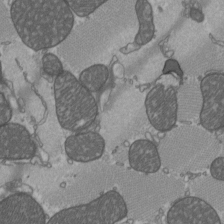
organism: C57BL Mouse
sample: Heart